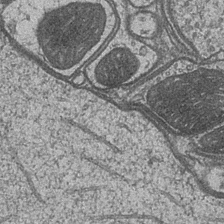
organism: Drosophila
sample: Optic medulla